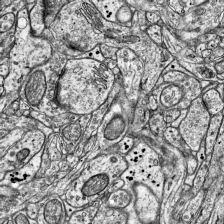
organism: Mouse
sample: Visual Cortex